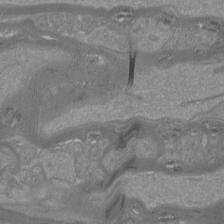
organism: Mouse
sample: Cortical neurons